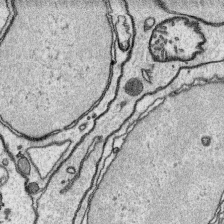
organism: Platynereis dumerilii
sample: Parapodia